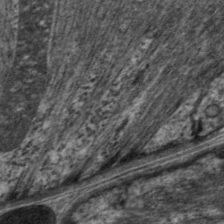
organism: C. elegans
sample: Pharynx